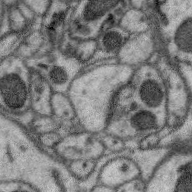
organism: Zebra finch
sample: Brain